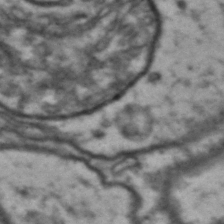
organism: Drosophila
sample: Brain